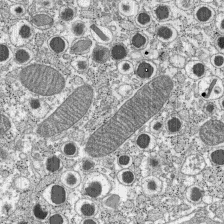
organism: C57BL Mouse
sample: Pancreatic islet